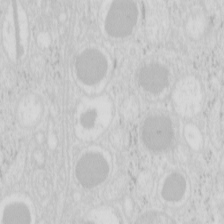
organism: Mouse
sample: Pancreas